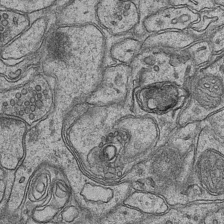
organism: Mouse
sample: CA1 Hippocampus